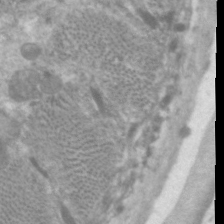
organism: C. elegans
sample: Pharynx